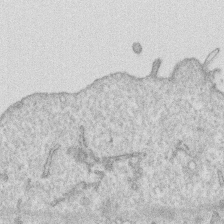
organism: Human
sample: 1205lu cells